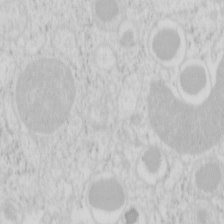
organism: Mouse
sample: Pancreas